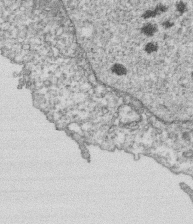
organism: Human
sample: HeLa cell HIV synapse